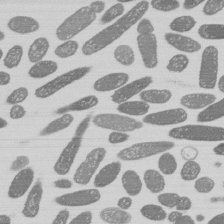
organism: E. coli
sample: Bacterial nucleoid